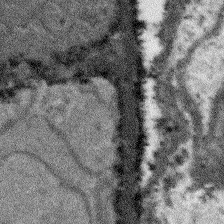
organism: Arabidopsis thaliana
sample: Root tip